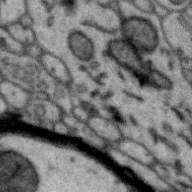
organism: Zebra finch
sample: Brain